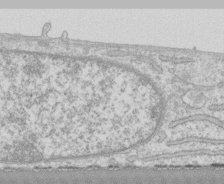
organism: Human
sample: CRL-1474